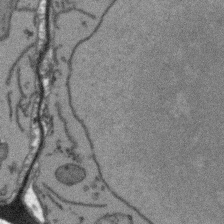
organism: Arabidopsis thaliana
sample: Root tip